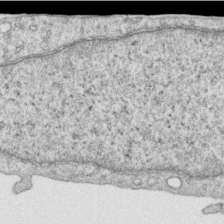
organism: Human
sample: Centriole in RPE cells